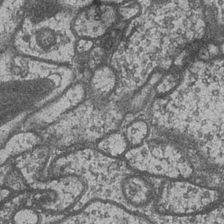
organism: Drosophila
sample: Optic medulla